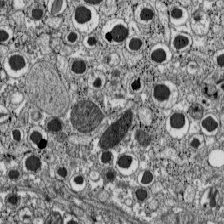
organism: C57BL Mouse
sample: Pancreatic islet